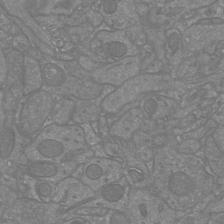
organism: Mouse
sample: Cortical neurons